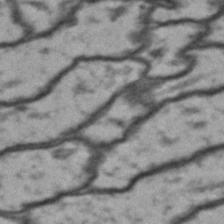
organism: Drosophila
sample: Brain